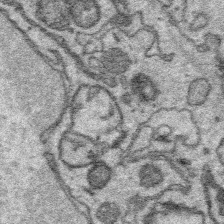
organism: Platynereis dumerilii